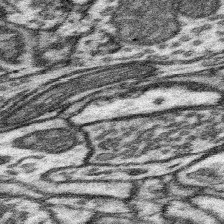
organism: Mouse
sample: Somatosensory cortex neuropil